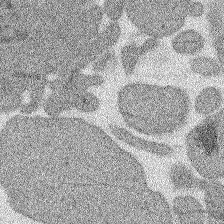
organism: Human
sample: HeLa cells